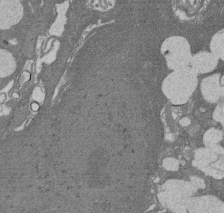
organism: Rat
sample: Salivary granule